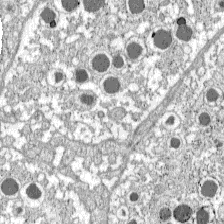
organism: C57BL Mouse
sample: Pancreatic islet